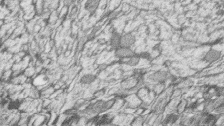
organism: Zebrafish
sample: synaptic ribbons in rod cells and cone cells